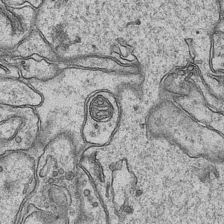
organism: Mouse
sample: CA1 Hippocampus